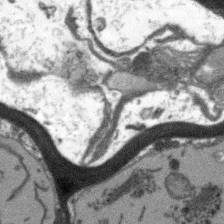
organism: Arabidopsis thaliana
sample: Root tip